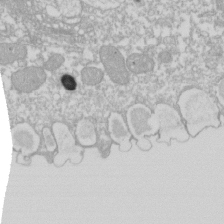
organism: Xenopus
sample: Cilia; centrioles in frog embryo cells